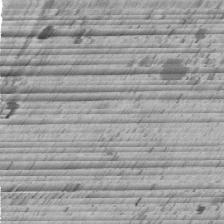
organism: C. elegans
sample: C. elegans embryo early stage